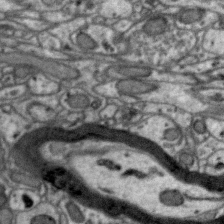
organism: Zebra finch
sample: Brain